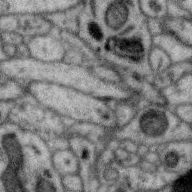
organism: Zebra finch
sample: Brain